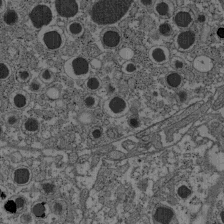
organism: C57BL Mouse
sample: Pancreatic islet